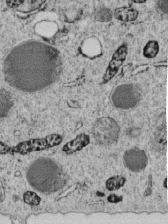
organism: C. elegans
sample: C. elegans embryo early stage